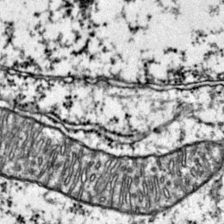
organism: Mouse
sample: Primary visual cortex